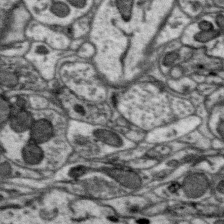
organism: Zebra finch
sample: Brain